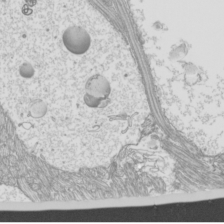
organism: Mouse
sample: Cilia; mouse epididymis